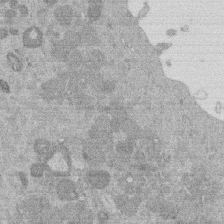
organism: Mouse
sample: Dividing mouse embryo 1 cell stage